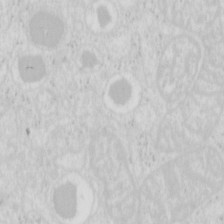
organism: Mouse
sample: Pancreas